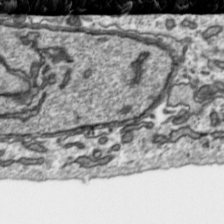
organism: Toxoplasma gondii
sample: Parasites in a vacuole inside a host cell